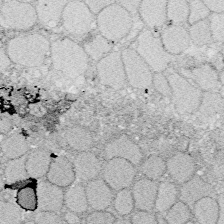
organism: Zebrafish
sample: Whole-Brain